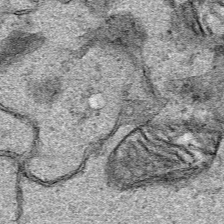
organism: Human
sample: Mitochondria in HCT116 cells